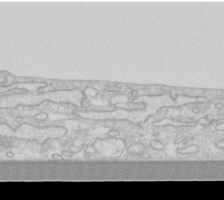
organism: Human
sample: Fibroblast cells